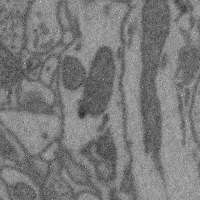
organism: Mouse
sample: Cerebral cortex